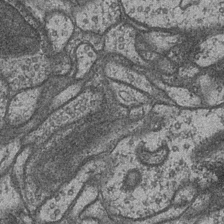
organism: Drosophila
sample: Optic medulla